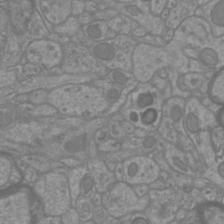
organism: Mouse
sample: Cortical neurons